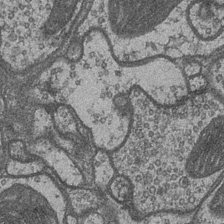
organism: Drosophila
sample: Optic medulla